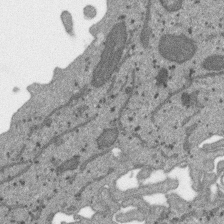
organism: Human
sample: Lung epithelial cells infected with SARS-CoV-2